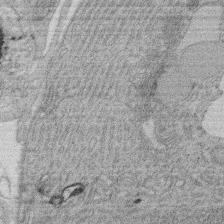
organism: Rat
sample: Salivary granule